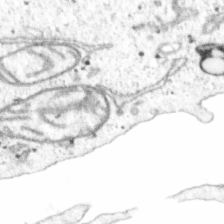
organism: Human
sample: HeLa cells